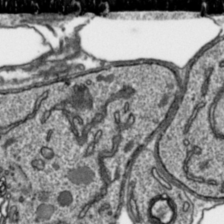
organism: Toxoplasma gondii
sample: Parasites in a vacuole inside a host cell